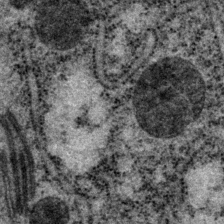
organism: P. pacificus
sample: Pharynx